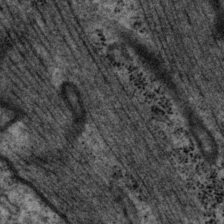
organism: P. pacificus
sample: Pharynx